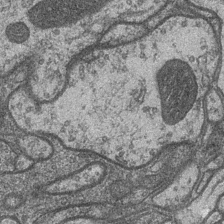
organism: Drosophila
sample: Optic medulla